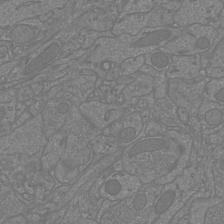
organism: Mouse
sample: Cortical neurons